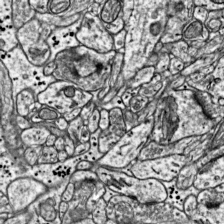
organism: Mouse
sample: Visual Cortex